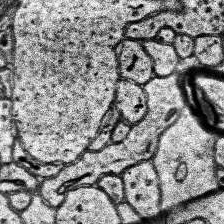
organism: Human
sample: Temporal Lobe